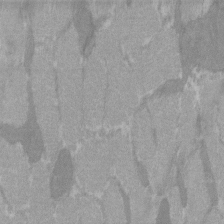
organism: C57BL Mouse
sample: Tibialis anterior muscle cell